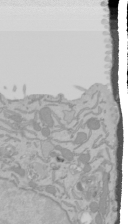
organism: Mouse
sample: Cancer cell death in ED-1 cells